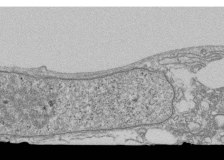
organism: Human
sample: Fibroblast cells